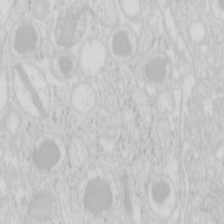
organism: Mouse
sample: Pancreas